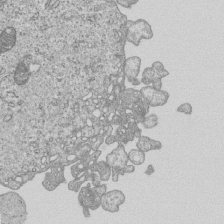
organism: Human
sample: MDA-MB-231 cells